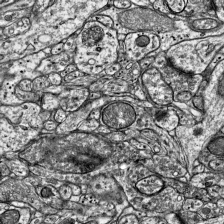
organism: Mouse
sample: Visual Cortex